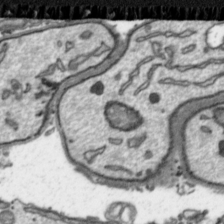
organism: Toxoplasma gondii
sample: Parasites in a vacuole inside a host cell